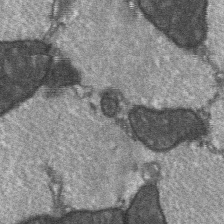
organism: C57BL Mouse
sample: Soleus